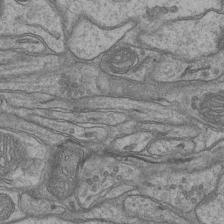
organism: Mouse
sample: CA1 Hippocampus